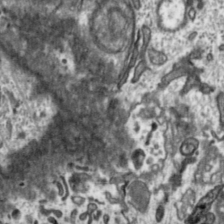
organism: Toxoplasma gondii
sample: Parasites in a vacuole inside a host cell